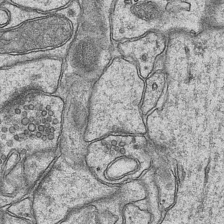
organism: Mouse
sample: CA1 Hippocampus